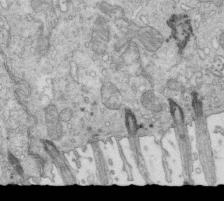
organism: Mouse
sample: Multiciliated cells